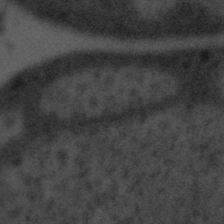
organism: Tuwongella immobilis